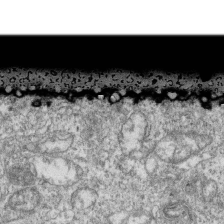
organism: Human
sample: HeLa cell HIV synapse